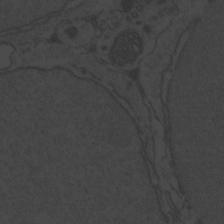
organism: Zebrafish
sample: Macrophage infected with Toxoplasma gondii